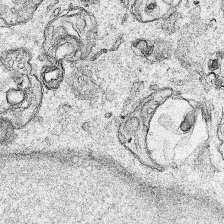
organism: Human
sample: Mitochondria in HCT116 cells